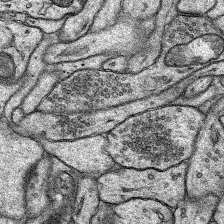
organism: Rat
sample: Hippocampus